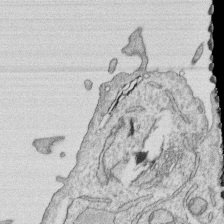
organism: Human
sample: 1205lu cells